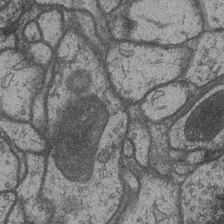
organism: Drosophila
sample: Optic medulla